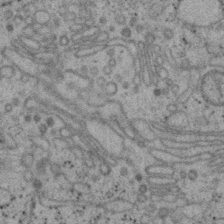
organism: Human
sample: HeLa cells